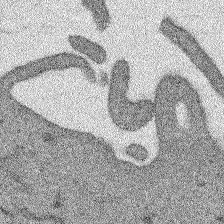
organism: Human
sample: HeLa cells